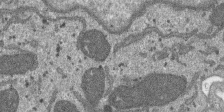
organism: Human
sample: Lung epithelial cells infected with SARS-CoV-2